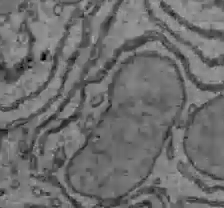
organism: C57BL Mouse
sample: Liver